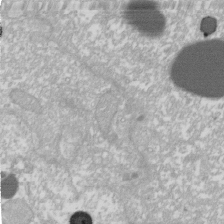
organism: Xenopus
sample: Cilia; centrioles in frog embryo cells